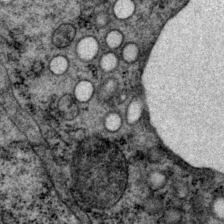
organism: P. pacificus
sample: Pharynx